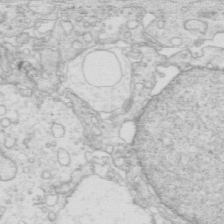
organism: Mouse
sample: Multiciliated cells